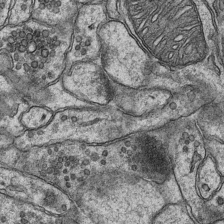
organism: Mouse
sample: CA1 Hippocampus